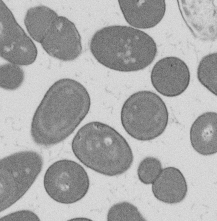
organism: B. subtilis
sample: Bacterial spore